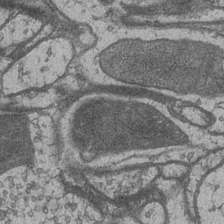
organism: Drosophila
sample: Optic medulla